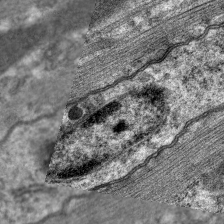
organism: C. elegans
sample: Pharynx